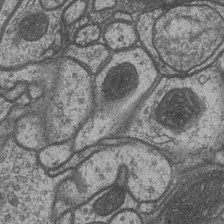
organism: Drosophila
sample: Optic medulla